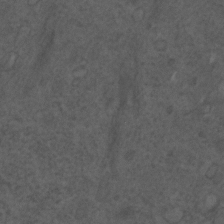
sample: Trachea